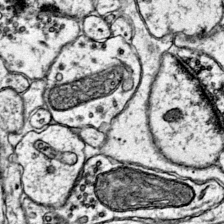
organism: Mouse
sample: Primary visual cortex